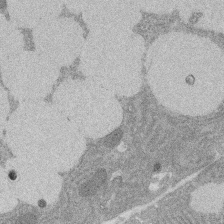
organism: Rat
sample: Salivary granule